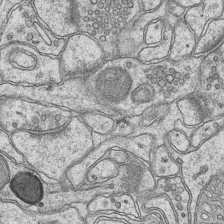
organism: Mouse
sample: CA1 Hippocampus